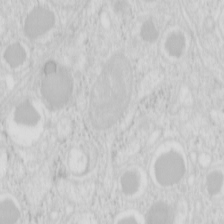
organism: Mouse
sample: Pancreas